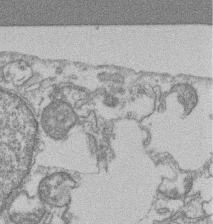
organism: Mouse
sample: T cell stromal cell synapse